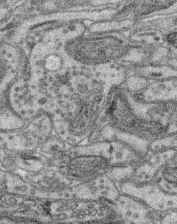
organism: Mouse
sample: Retina